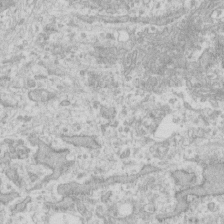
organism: Human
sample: Fibroblast cells